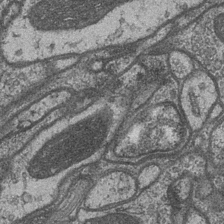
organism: Drosophila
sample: Optic medulla